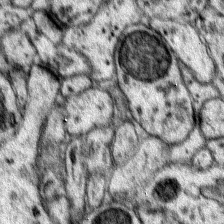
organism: Mouse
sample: Primary visual cortex